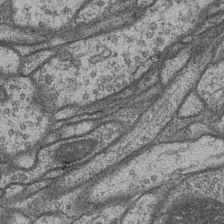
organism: Drosophila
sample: Optic medulla